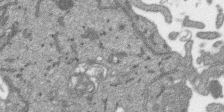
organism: Human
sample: Lung epithelial cells infected with SARS-CoV-2